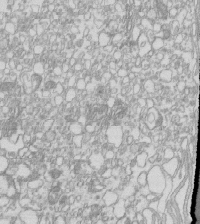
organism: Mouse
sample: Macrophages